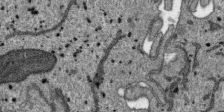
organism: Human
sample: Lung epithelial cells, uninfected (mock) control